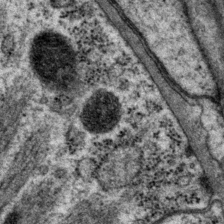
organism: P. pacificus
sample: Pharynx